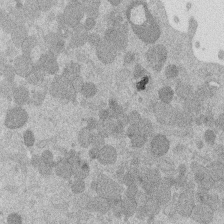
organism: Mouse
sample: Dividing mouse embryo 1 cell stage